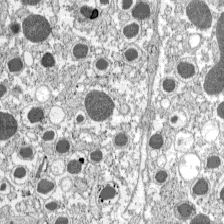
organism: C57BL Mouse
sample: Pancreatic islet